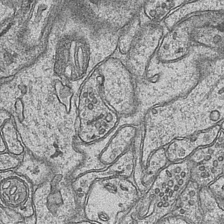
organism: Mouse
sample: CA1 Hippocampus